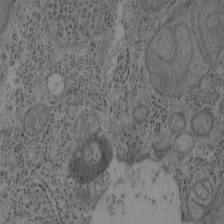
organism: Mouse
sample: OT-I killer T cells with ID8 ovarian cancer cells